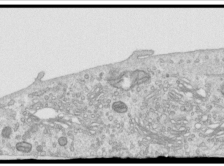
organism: Human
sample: Centriole in RPE cells